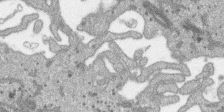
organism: Human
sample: Lung epithelial cells infected with SARS-CoV-2